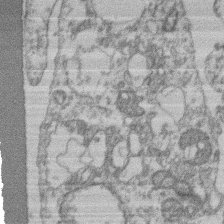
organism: Mouse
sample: T cell stromal cell synapse